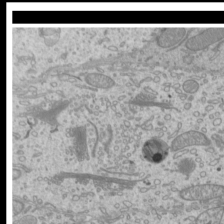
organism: Mouse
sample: Cilia; mouse epididymis